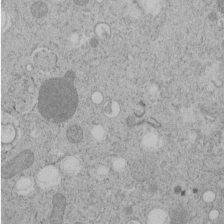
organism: C. elegans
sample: C. elegans embryo early stage